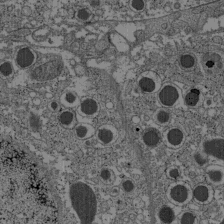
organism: C57BL Mouse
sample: Pancreatic islet